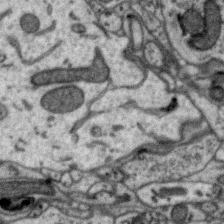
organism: Zebra finch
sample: Brain